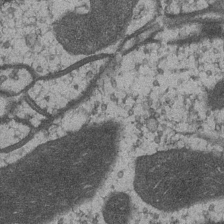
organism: Drosophila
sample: Optic medulla